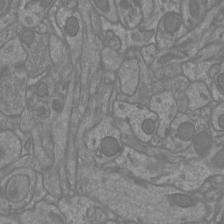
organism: Mouse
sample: Cortical neurons